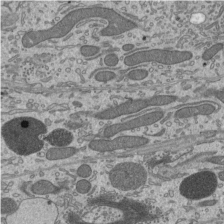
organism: Mouse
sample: Mouse epididymis efferent ductule cilia